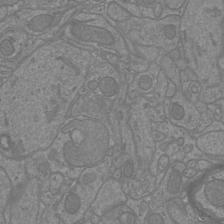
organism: Mouse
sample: Cortical neurons